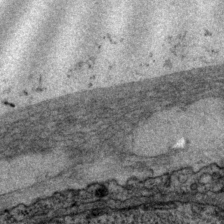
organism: P. pacificus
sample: Pharynx